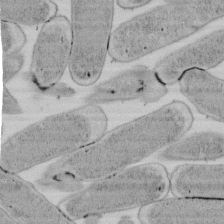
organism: E. coli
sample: Bacterial nucleoid